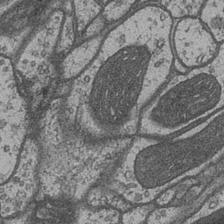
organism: Drosophila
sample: Optic medulla